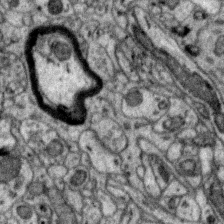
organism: Zebra finch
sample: Brain